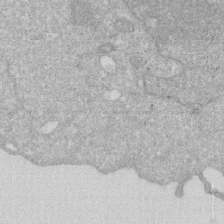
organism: Human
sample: HIV infected U937 cells